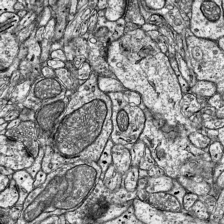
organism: Mouse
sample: Visual Cortex